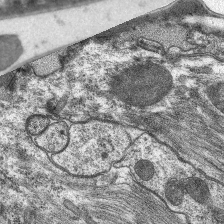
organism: C. elegans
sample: Pharynx